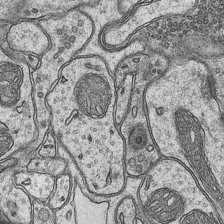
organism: Mouse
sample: CA1 Hippocampus